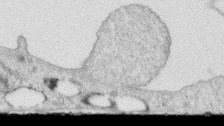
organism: Human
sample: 1205lu cells